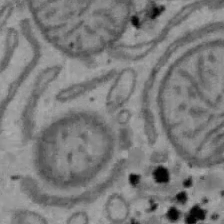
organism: Mouse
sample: Liver